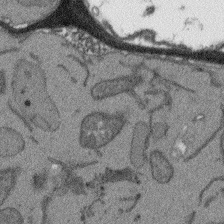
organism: Arabidopsis thaliana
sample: Root tip